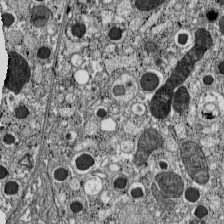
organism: C57BL Mouse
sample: Pancreatic islet